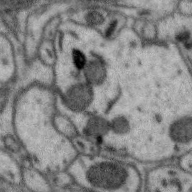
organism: Zebra finch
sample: Brain